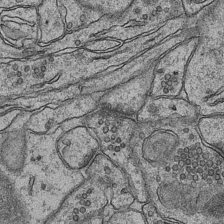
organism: Mouse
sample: CA1 Hippocampus